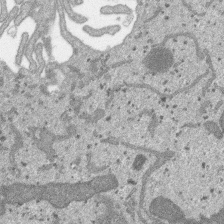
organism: Human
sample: Lung epithelial cells infected with SARS-CoV-2